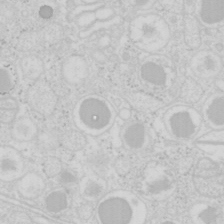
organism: Mouse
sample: Pancreas